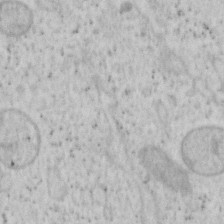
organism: Human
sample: HeLa cells